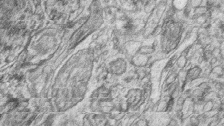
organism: Zebrafish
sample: synaptic ribbons in rod cells and cone cells